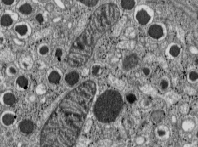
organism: C57BL Mouse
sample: Pancreatic islet